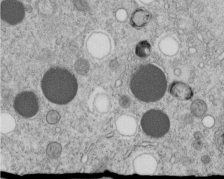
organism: C. elegans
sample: C. elegans embryo early stage